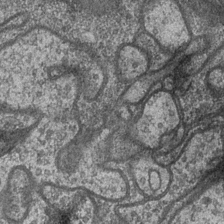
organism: Drosophila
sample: Optic medulla